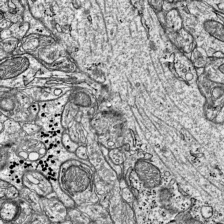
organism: Mouse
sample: Visual Cortex